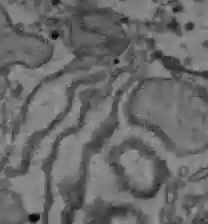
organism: C57BL Mouse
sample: Liver